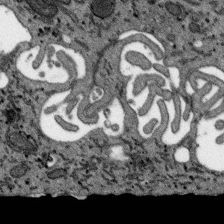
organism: Human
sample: Lung epithelial cells, uninfected (mock) control